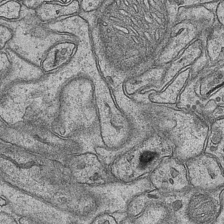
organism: Mouse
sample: CA1 Hippocampus